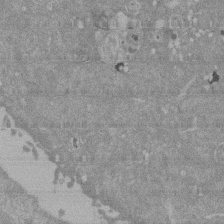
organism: Mouse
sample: ED-1 cell nuclei; centrioles